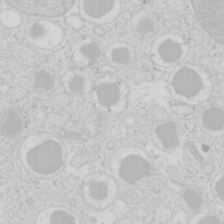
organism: Mouse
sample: Pancreas